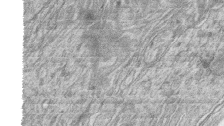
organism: Zebrafish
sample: synaptic ribbons in rod cells and cone cells